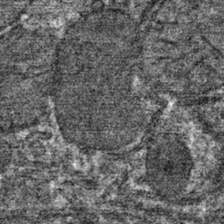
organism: Mouse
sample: Mouse hepatocytes